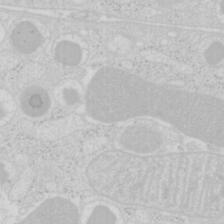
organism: Mouse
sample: Pancreas